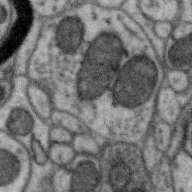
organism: Zebra finch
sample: Brain